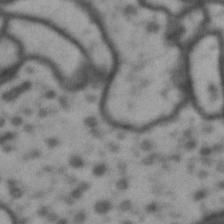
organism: Drosophila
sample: Brain